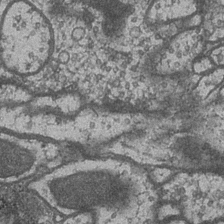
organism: Drosophila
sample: Optic medulla